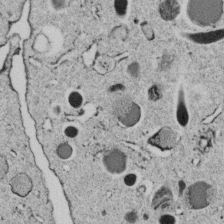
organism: C. elegans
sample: C. elegans embryo early stage